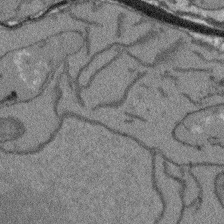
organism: Arabidopsis thaliana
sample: Root tip